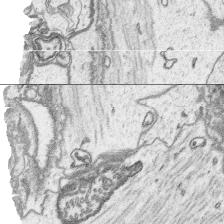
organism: Platynereis dumerilii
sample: Parapodia